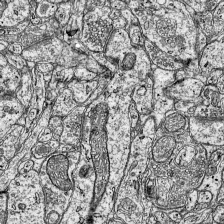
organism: Mouse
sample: Visual Cortex